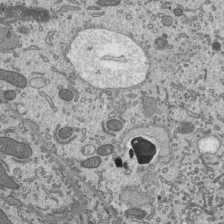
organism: Mouse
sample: Mouse epididymis efferent ductule cilia